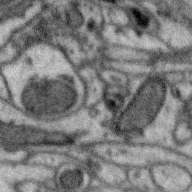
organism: Zebra finch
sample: Brain